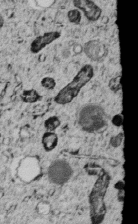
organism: C. elegans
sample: C. elegans embryo early stage